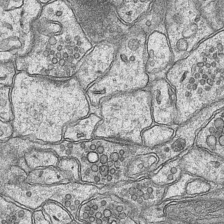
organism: Mouse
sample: CA1 Hippocampus